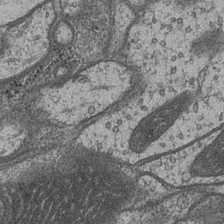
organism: Drosophila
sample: Optic medulla